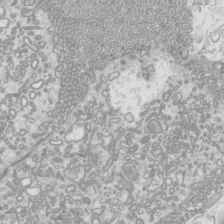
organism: Mouse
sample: Cilia; mouse epididymis